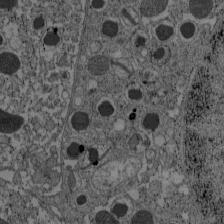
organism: C57BL Mouse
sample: Pancreatic islet